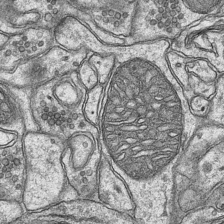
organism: Mouse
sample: CA1 Hippocampus